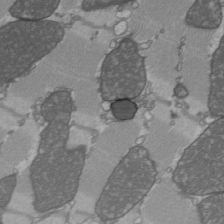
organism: C57BL Mouse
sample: Heart